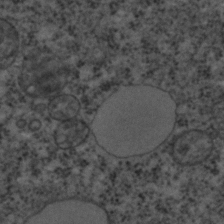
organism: C. elegans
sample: C. elegans embryo